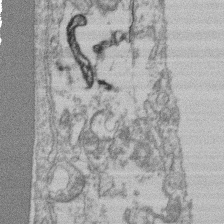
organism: Mouse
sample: T cell stromal cell synapse